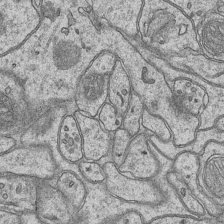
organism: Mouse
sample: CA1 Hippocampus